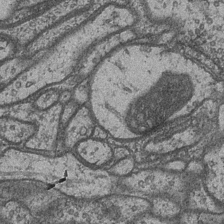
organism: Drosophila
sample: Optic medulla